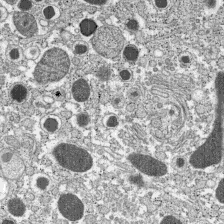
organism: C57BL Mouse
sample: Pancreatic islet